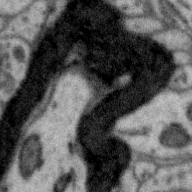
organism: Zebra finch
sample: Brain